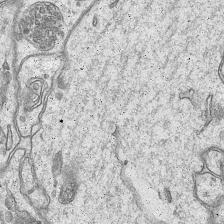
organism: Mouse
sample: CA1 Hippocampus